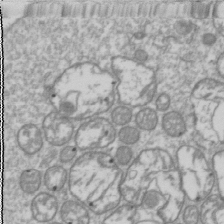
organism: Drosophila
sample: Cell division; meiosis; drosophila spermatocytes